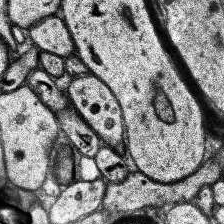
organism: Human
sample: Temporal Lobe